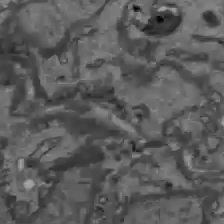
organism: C57BL Mouse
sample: Liver